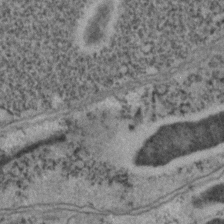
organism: C. elegans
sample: C. elegans embryo